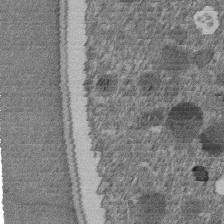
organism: C. elegans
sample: C. elegans embryo early stage